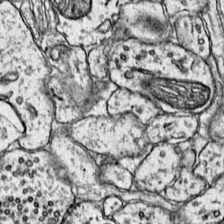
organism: Mouse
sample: Primary visual cortex